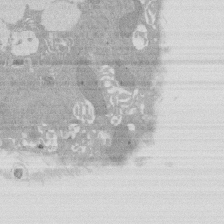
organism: Rat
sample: Salivary granule